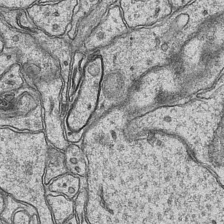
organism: Mouse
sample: CA1 Hippocampus